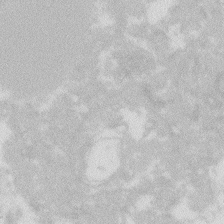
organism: Zebrafish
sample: Macrophage